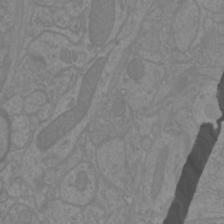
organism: Mouse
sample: Cortical neurons